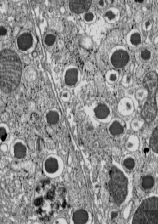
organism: C57BL Mouse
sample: Pancreatic islet